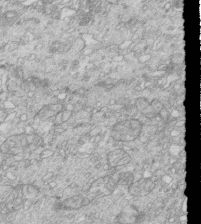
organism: Mouse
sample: Multiciliated cells